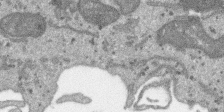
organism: Human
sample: Lung epithelial cells infected with SARS-CoV-2